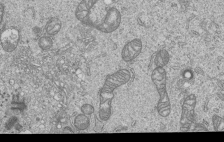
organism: Human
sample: MDA-MB-231 cells